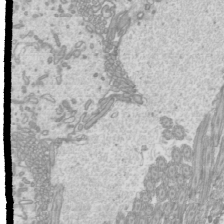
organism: Mouse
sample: Cilia; mouse epididymis